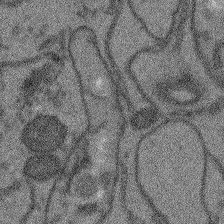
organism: Arabidopsis thaliana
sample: Root tip